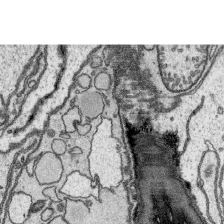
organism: Platynereis dumerilii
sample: Parapodia